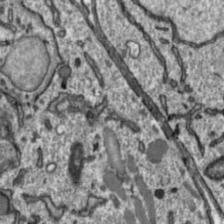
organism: Toxoplasma gondii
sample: Parasites in a vacuole inside a host cell